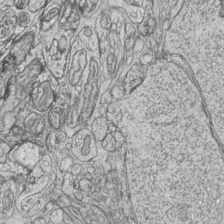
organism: Zebrafish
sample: synaptic ribbons in rod cells and cone cells